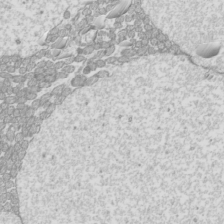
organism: Mouse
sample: Cilia; mouse epididymis